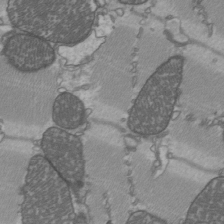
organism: C57BL Mouse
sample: Heart